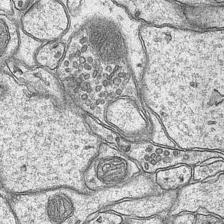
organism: Mouse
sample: CA1 Hippocampus